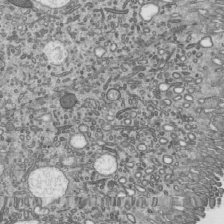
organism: Mouse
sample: Mouse epididymis efferent ductule cilia